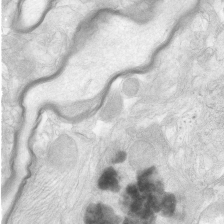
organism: Human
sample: Neocortex